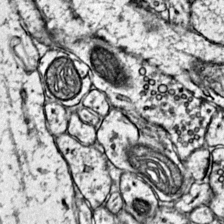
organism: Mouse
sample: Primary visual cortex